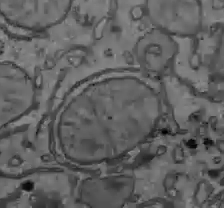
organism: C57BL Mouse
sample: Liver